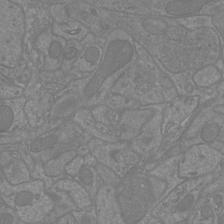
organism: Mouse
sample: Cortical neurons